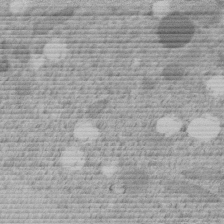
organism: C. elegans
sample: C. elegans embryo early stage